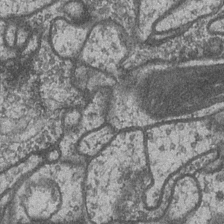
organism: Drosophila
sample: Optic medulla